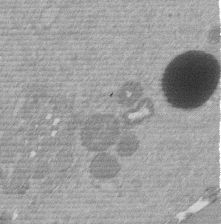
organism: Mouse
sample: Dividing mouse embryo 1 cell stage